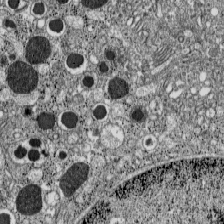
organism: C57BL Mouse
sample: Pancreatic islet